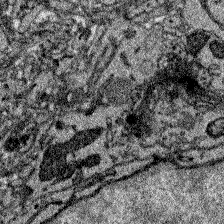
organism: Zebrafish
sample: Larval olfactory bulb